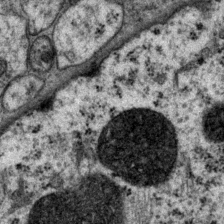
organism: P. pacificus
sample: Pharynx